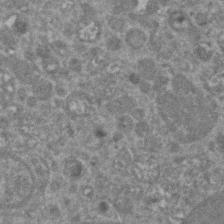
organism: Zebrafish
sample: Zebrafish embryo